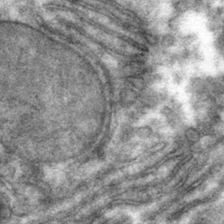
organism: Mouse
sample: Mouse hepatocytes